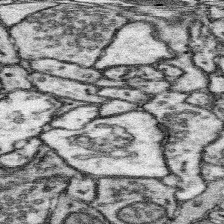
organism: Mouse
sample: Somatosensory cortex neuropil